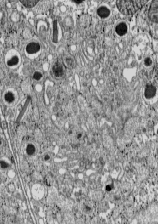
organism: C57BL Mouse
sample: Pancreatic islet